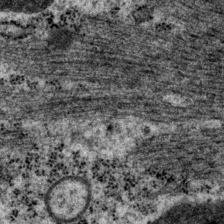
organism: P. pacificus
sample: Pharynx